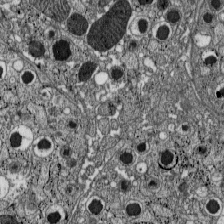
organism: C57BL Mouse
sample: Pancreatic islet